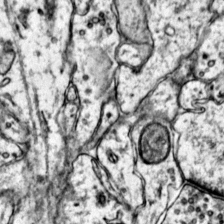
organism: Mouse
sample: Primary visual cortex